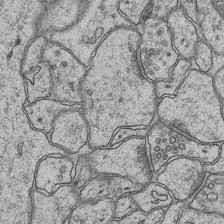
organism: Mouse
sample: CA1 Hippocampus